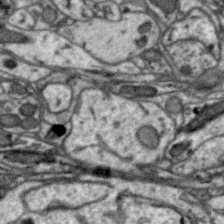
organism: Zebra finch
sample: Brain